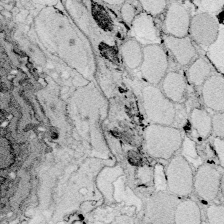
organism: Zebrafish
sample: Whole-Brain